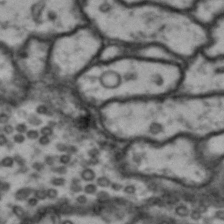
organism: Drosophila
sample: Brain